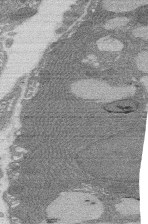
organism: Rat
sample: Salivary granule